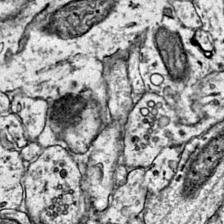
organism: Mouse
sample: Primary visual cortex